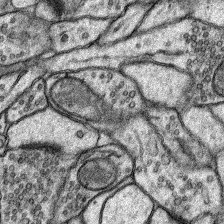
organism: Rat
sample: Hippocampus